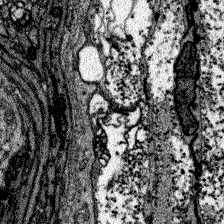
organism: Zebrafish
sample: Larval olfactory bulb